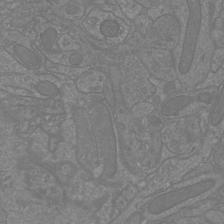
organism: Mouse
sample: Cortical neurons